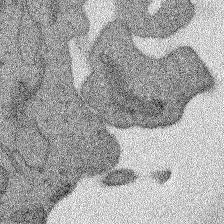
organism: Human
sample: HeLa cells